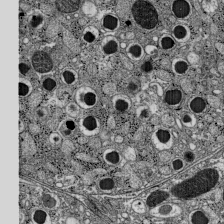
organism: C57BL Mouse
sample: Pancreatic islet